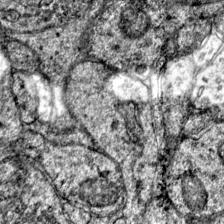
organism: Mouse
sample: Primary visual cortex